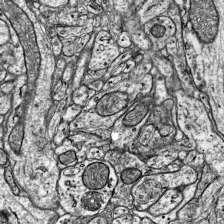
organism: Mouse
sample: Visual Cortex